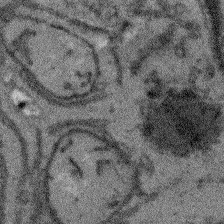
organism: Arabidopsis thaliana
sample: Root tip